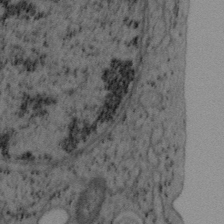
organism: Human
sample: HeLa cells